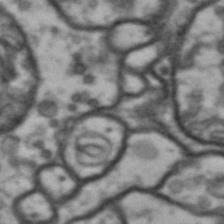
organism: Drosophila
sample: Brain